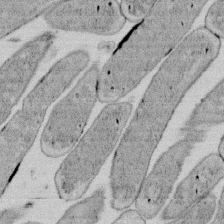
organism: E. coli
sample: Bacterial nucleoid